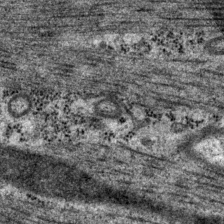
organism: P. pacificus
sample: Pharynx